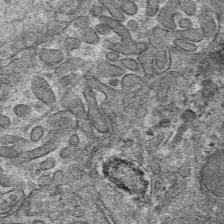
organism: Mouse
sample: Mouse hepatocytes